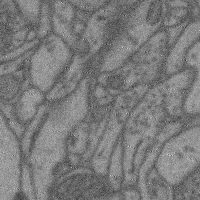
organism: Mouse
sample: Cerebral cortex